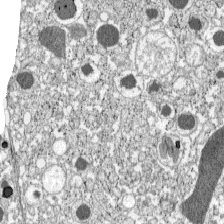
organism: C57BL Mouse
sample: Pancreatic islet